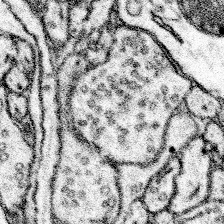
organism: Mouse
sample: Somatosensory cortex neuropil